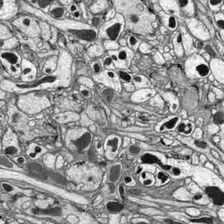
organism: Drosophila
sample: Optic lobe